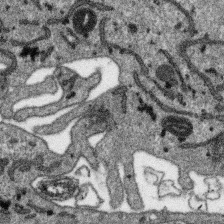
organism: Human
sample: Lung epithelial cells infected with SARS-CoV-2